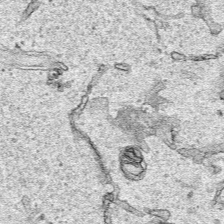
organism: Human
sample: Mitochondria in HCT116 cells